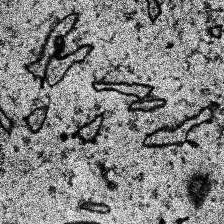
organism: Human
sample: Temporal Lobe